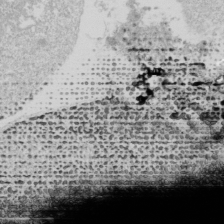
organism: Drosophila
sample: Cell division; meiosis; drosophila spermatocytes